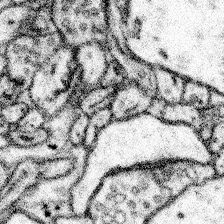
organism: Mouse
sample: Somatosensory cortex neuropil